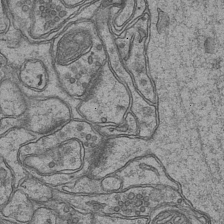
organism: Mouse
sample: CA1 Hippocampus